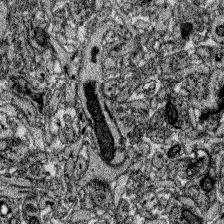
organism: Zebrafish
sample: Larval olfactory bulb